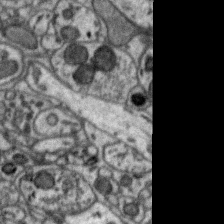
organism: Zebra finch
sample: Brain